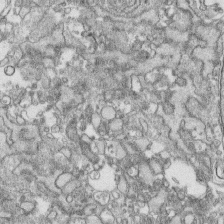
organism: Human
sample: CRL-1474